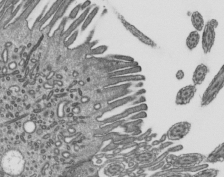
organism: Mouse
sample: Mouse epididymis efferent ductule cilia